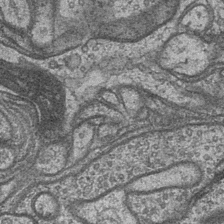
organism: Drosophila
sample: Optic medulla